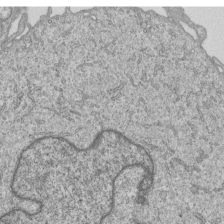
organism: Human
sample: MDA-MB-231 cells